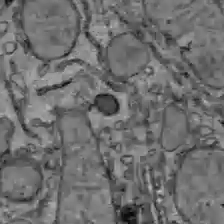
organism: C57BL Mouse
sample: Liver